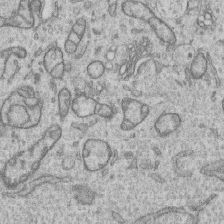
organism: Human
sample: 1205lu cells